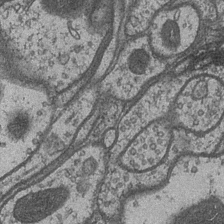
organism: Drosophila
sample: Optic medulla